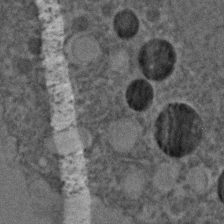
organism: C. elegans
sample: C. elegans embryo